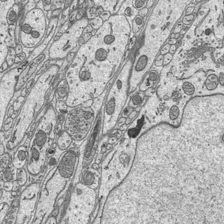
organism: Mouse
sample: Suprachiasmatic nucleus